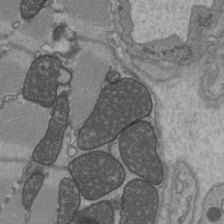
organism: C57BL Mouse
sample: Heart